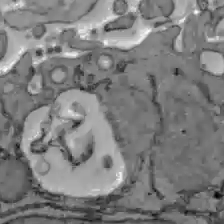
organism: C57BL Mouse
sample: Liver